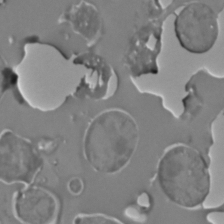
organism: C. elegans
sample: C. elegans embryo